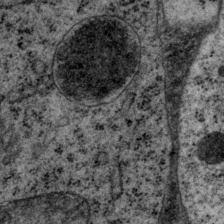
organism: P. pacificus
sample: Pharynx